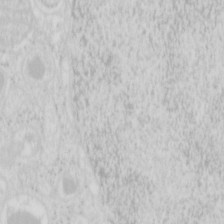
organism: Mouse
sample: Pancreas